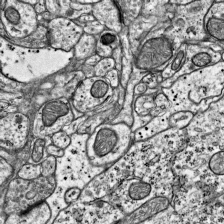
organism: Mouse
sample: Visual Cortex